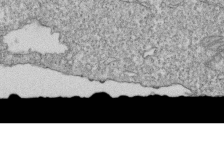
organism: Human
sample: HeLa cell HIV synapse